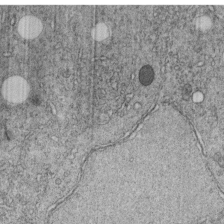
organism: C. elegans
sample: C. elegans embryo early stage